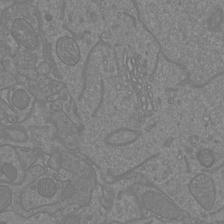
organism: Mouse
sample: Cortical neurons